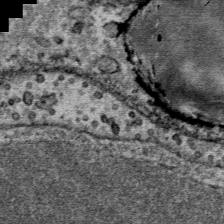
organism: Mouse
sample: Mouse Salivary gland